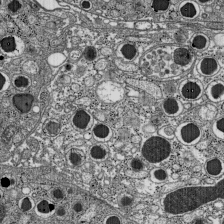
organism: C57BL Mouse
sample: Pancreatic islet